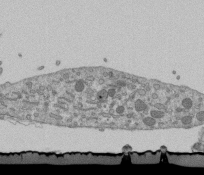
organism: Mouse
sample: ED-1 cell nuclei; centrioles